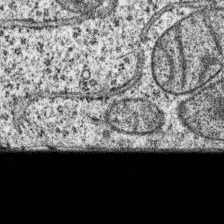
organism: Human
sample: HeLa cells